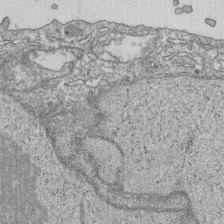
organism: Human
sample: HeLa cell HIV synapse